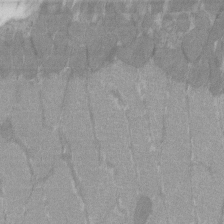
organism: C57BL Mouse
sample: Tibialis anterior muscle cell